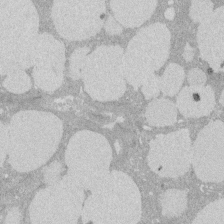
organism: Rat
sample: Salivary granule